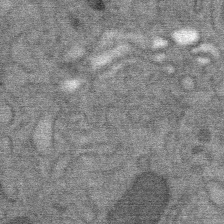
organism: Mouse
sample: Mouse Salivary gland